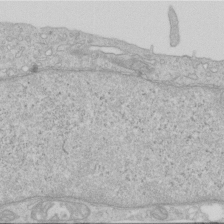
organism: Human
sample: Centriole in RPE cells